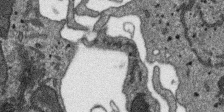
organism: Human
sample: Lung epithelial cells infected with SARS-CoV-2